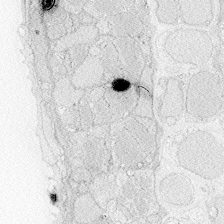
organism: Zebrafish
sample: Whole-Brain